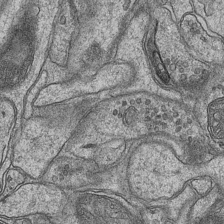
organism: Mouse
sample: CA1 Hippocampus